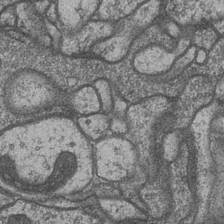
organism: Drosophila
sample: Optic medulla